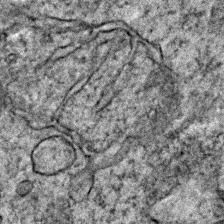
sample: Trachea